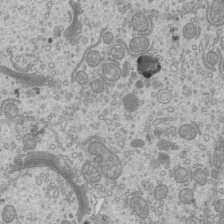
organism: Mouse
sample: Cilia; mouse epididymis